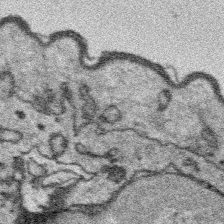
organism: Platynereis dumerilii